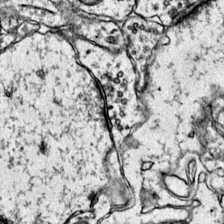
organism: Mouse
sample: Primary visual cortex